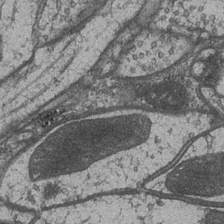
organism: Drosophila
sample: Optic medulla